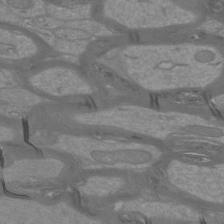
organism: Mouse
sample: Cortical neurons